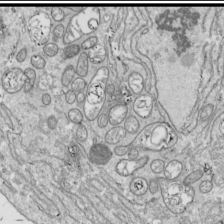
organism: Drosophila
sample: Cell division; meiosis; drosophila spermatocytes